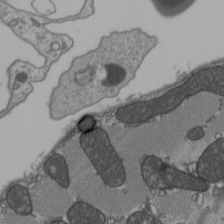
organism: C57BL Mouse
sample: Heart